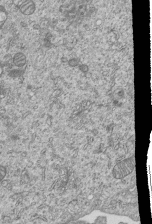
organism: Human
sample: MDA-MB-231 cells